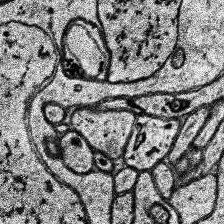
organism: Human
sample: Temporal Lobe